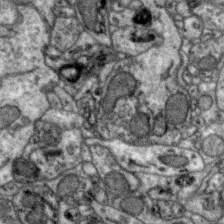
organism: Zebra finch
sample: Brain